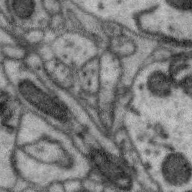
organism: Zebra finch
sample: Brain